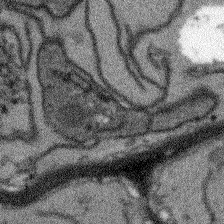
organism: Arabidopsis thaliana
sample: Root tip